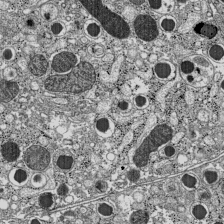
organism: C57BL Mouse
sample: Pancreatic islet